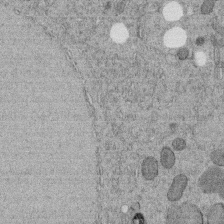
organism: C. elegans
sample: C. elegans embryo early stage